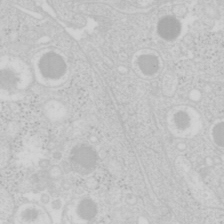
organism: Mouse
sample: Pancreas